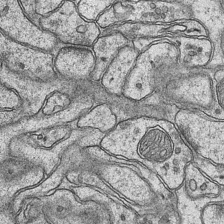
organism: Mouse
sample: CA1 Hippocampus